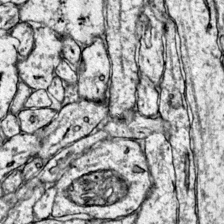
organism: Mouse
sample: Primary visual cortex